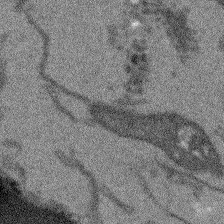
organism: Arabidopsis thaliana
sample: Root tip